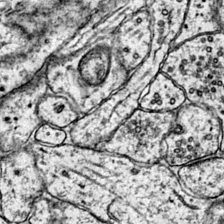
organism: Mouse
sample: Primary visual cortex